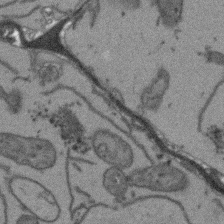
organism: Arabidopsis thaliana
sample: Root tip